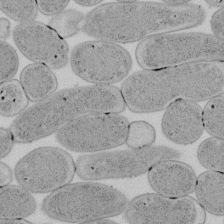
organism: E. coli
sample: Bacterial nucleoid